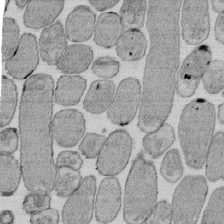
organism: E. coli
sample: Bacterial nucleoid